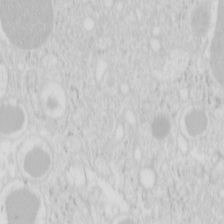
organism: Mouse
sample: Pancreas